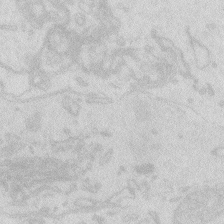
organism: Zebrafish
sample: Macrophage